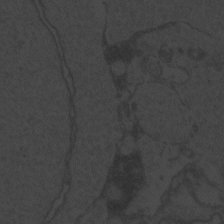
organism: Zebrafish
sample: Macrophage infected with Toxoplasma gondii